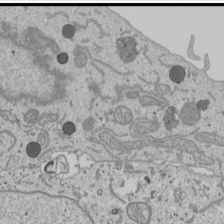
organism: Human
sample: Mitochondria in U2OS cells